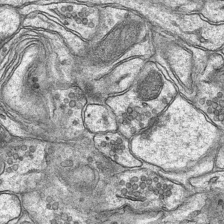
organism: Mouse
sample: CA1 Hippocampus